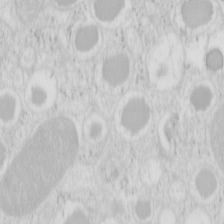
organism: Mouse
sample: Pancreas